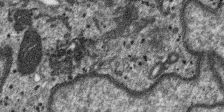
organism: Human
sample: Lung epithelial cells infected with SARS-CoV-2